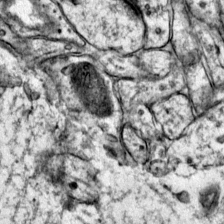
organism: Mouse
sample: Primary visual cortex